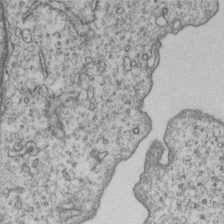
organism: Human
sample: MDA-MB-231 cells